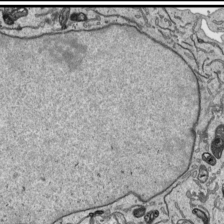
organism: Human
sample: Mitochondria in HCT116 cells